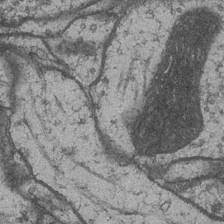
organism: Drosophila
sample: Optic medulla